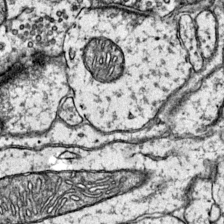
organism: Mouse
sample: Primary visual cortex